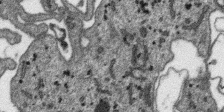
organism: Human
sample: Lung epithelial cells infected with SARS-CoV-2